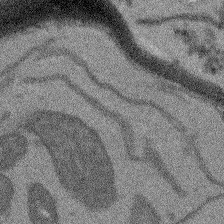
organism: Arabidopsis thaliana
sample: Root tip